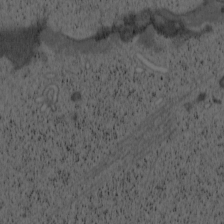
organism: African green monkey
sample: COS-7 cells